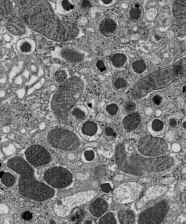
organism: C57BL Mouse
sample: Pancreatic islet